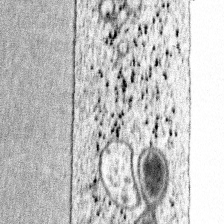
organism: Human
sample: HeLa cells